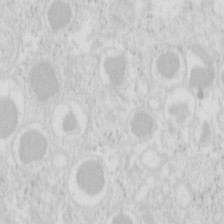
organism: Mouse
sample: Pancreas